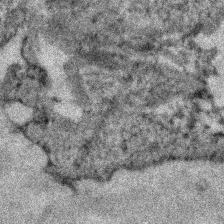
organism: Zebrafish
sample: Zebrafish embryo